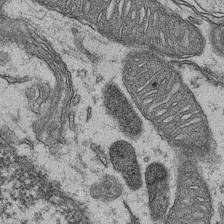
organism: Mouse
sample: CA1 Hippocampus